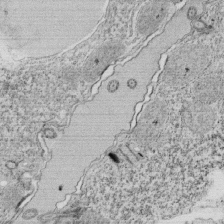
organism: Tetrahymena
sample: Cilia in tetrahymena